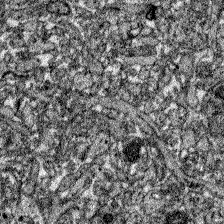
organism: Zebrafish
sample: Larval olfactory bulb